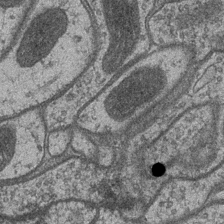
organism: Drosophila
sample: Optic medulla